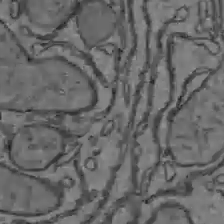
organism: C57BL Mouse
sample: Liver